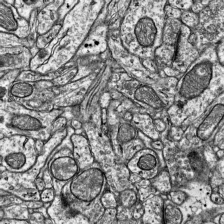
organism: Mouse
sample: Visual Cortex